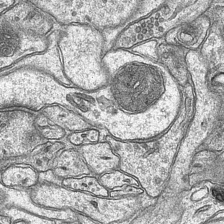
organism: Mouse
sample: CA1 Hippocampus